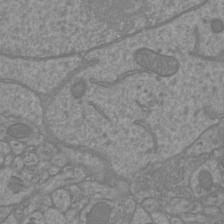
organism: Mouse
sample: Cortical neurons